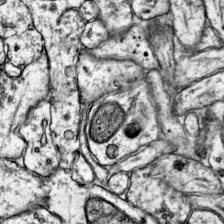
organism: Mouse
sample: Primary visual cortex